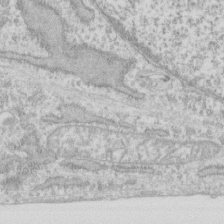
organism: Human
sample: Fibroblast cells